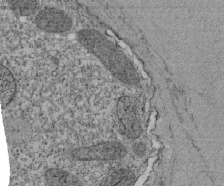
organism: Tetrahymena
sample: Cilia in tetrahymena